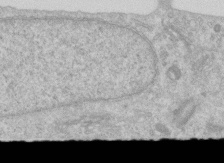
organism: Human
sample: Centriole in RPE cells